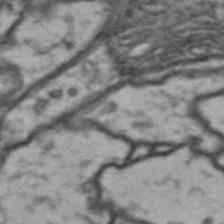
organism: Drosophila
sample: Brain